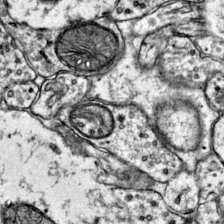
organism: Mouse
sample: Primary visual cortex